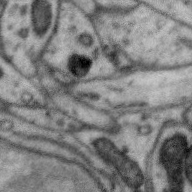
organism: Zebra finch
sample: Brain